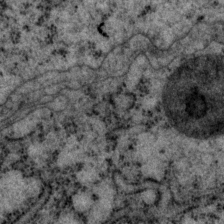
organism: P. pacificus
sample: Pharynx